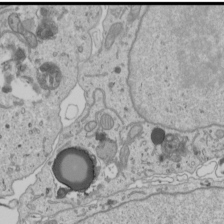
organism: Human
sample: Mitochondria in U2OS cells